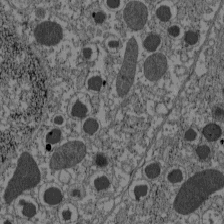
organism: C57BL Mouse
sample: Pancreatic islet